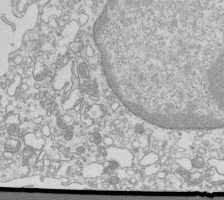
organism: Mouse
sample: Macrophages